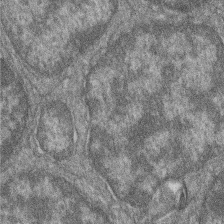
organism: Zebrafish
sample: Cilia; retinal pigment epithelium